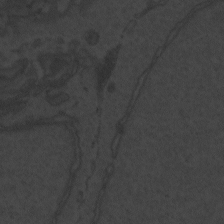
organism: Zebrafish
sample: Macrophage infected with Toxoplasma gondii